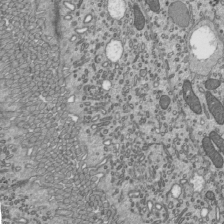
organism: Mouse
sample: Mouse epididymis efferent ductule cilia